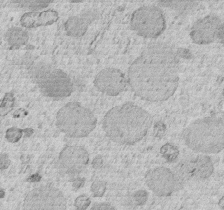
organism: C. elegans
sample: C. elegans embryo early stage